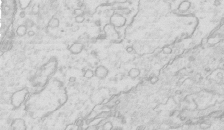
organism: Mouse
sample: Multiciliated cells